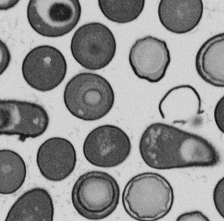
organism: B. subtilis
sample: Bacterial spore